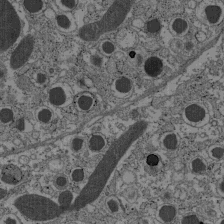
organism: C57BL Mouse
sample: Pancreatic islet